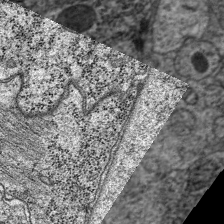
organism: C. elegans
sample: Pharynx